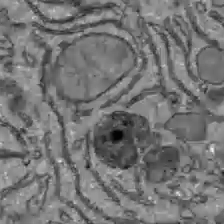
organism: C57BL Mouse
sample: Liver